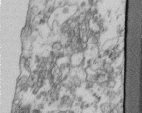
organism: Human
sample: Centriole in fibroblast cells